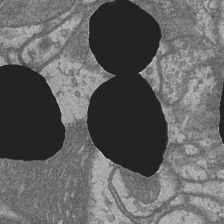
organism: Drosophila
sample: Optic medulla